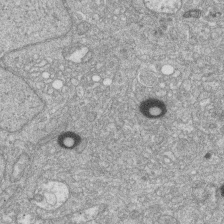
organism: Human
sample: HeLa cell HIV synapse